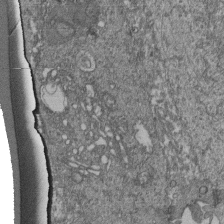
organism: Human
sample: Retinal organoid Rod and Cone cells